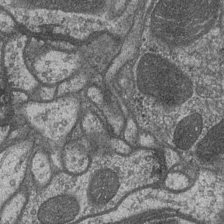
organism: Drosophila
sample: Optic medulla